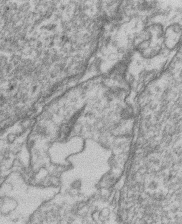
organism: Mouse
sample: T cell stromal cell synapse